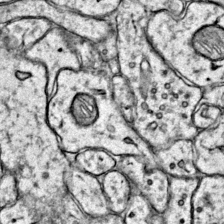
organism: Mouse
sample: Primary visual cortex